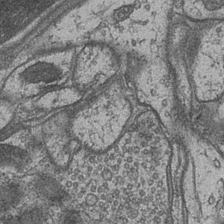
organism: Drosophila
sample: Optic medulla